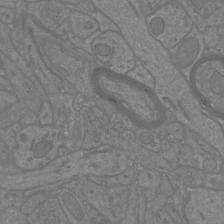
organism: Mouse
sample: Cortical neurons